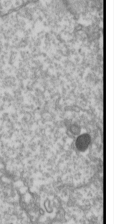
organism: Drosophila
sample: Cell division; meiosis; drosophila spermatocytes